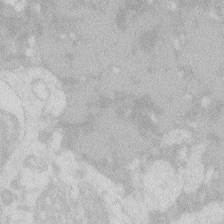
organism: Zebrafish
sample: Macrophage